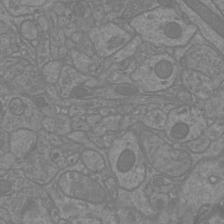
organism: Mouse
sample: Cortical neurons